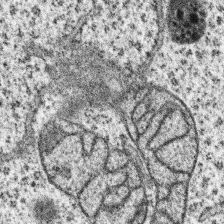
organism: Human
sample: HeLa cells